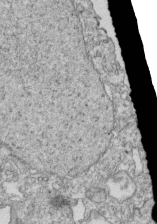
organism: Human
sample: HeLa cell HIV synapse